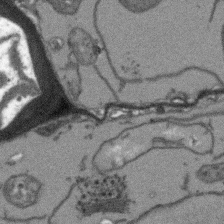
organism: Arabidopsis thaliana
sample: Root tip